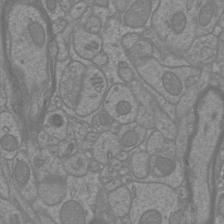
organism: Mouse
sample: Cortical neurons